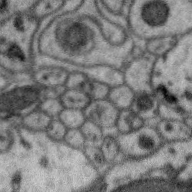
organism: Zebra finch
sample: Brain